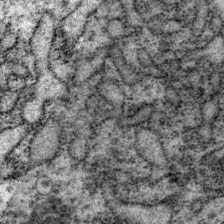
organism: P. pacificus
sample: Pharynx